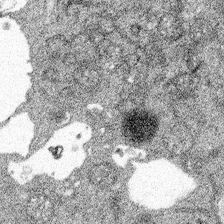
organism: Spongilla lacustris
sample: Multiple